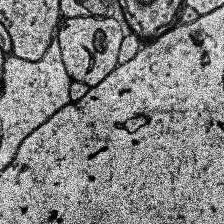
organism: Human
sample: Temporal Lobe